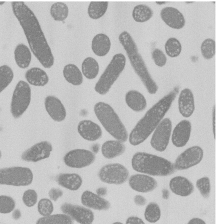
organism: E. coli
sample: Bacterial nucleoid